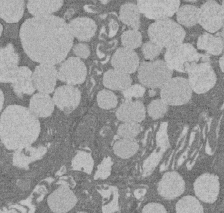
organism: Rat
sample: Salivary granule